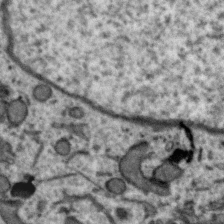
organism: Zebra finch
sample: Brain